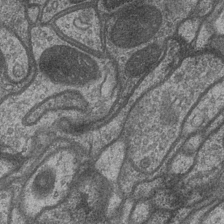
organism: Drosophila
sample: Optic medulla